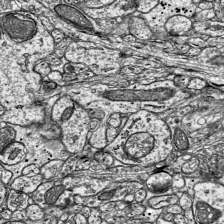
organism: Mouse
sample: Visual Cortex